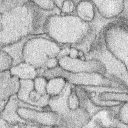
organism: Rabbit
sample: Retina